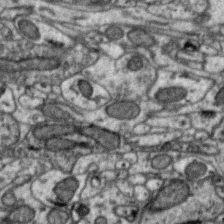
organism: Zebra finch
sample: Brain